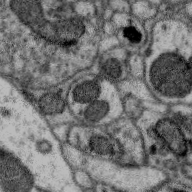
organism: Zebra finch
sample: Brain